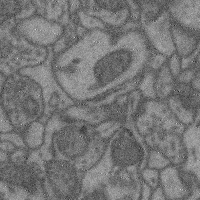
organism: Mouse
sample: Cerebral cortex